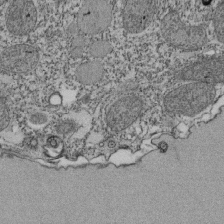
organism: Tetrahymena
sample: Cilia in tetrahymena